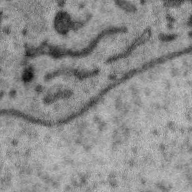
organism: Zebra finch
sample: Brain